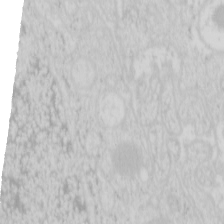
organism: Mouse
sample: Pancreas